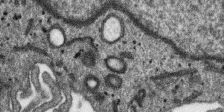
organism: Human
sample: Lung epithelial cells infected with SARS-CoV-2